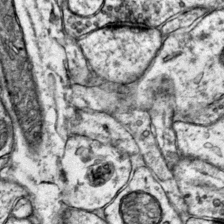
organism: Mouse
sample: Primary visual cortex